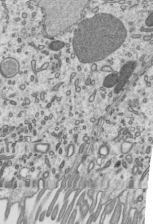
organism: Mouse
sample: Mouse epididymis efferent ductule cilia